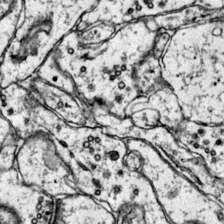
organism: Mouse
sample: Primary visual cortex